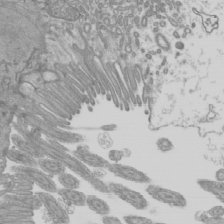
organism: Mouse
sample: Cilia; mouse epididymis